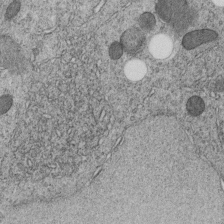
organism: C. elegans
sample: C. elegans embryo early stage